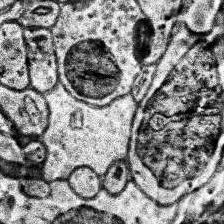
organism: Human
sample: Temporal Lobe